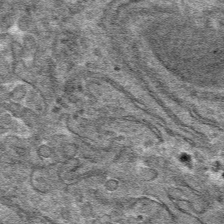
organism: Mouse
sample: Mouse hepatocytes